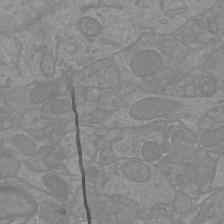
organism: Mouse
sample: Cortical neurons